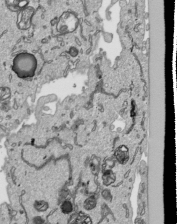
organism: Human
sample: Mitochondria in HCT116 cells